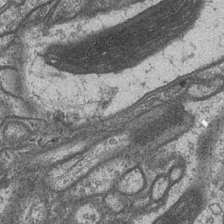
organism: Drosophila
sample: Optic medulla